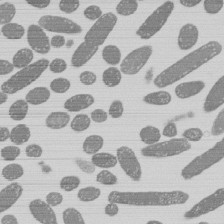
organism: E. coli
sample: Bacterial nucleoid